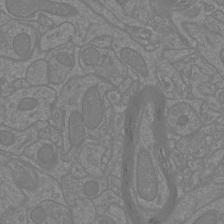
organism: Mouse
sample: Cortical neurons